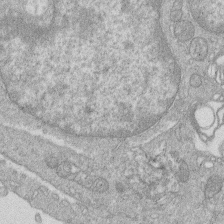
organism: Human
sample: Macrophage cells